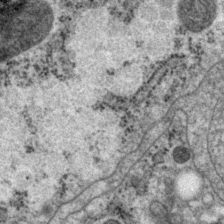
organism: P. pacificus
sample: Pharynx